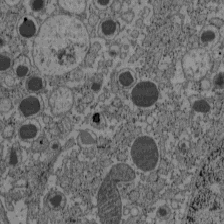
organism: C57BL Mouse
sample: Pancreatic islet